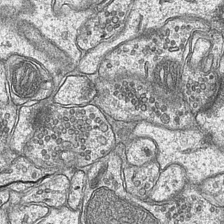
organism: Mouse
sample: CA1 Hippocampus